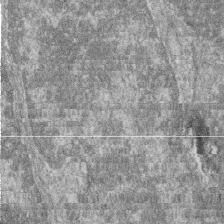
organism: Zebrafish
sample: Cilia; retinal pigment epithelium